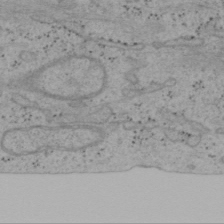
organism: Human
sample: HeLa cells